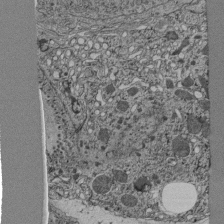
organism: C. elegans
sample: C. elegans pharynx